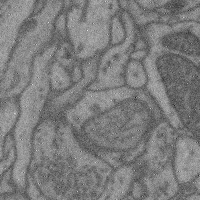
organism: Mouse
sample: Cerebral cortex